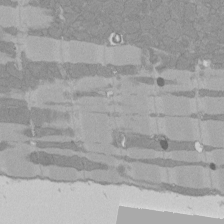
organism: Rat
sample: Left ventricle